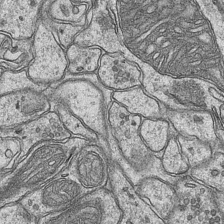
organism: Mouse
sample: CA1 Hippocampus